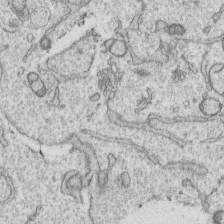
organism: Human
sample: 1205lu cells